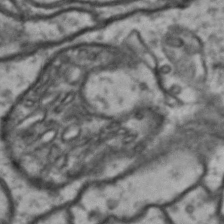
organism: Drosophila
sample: Brain